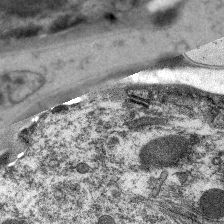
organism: C. elegans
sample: Pharynx